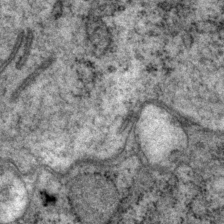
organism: P. pacificus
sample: Pharynx